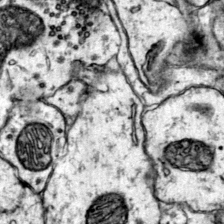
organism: Mouse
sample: Primary visual cortex